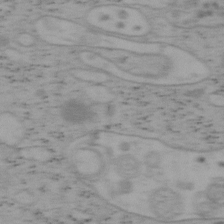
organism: Mouse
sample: OT-I killer T cells with ID8 ovarian cancer cells